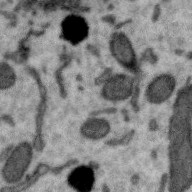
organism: Zebra finch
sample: Brain